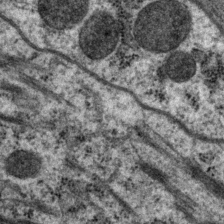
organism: P. pacificus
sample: Pharynx